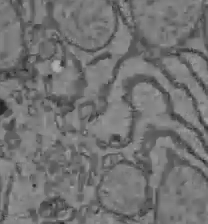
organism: C57BL Mouse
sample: Liver